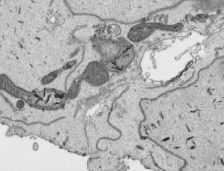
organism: Human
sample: Mitochondria in HCT116 cells